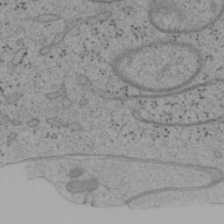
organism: Human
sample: HeLa cells